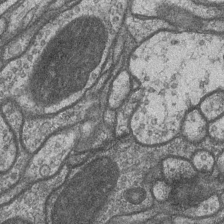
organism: Drosophila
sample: Optic medulla